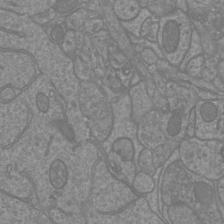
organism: Mouse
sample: Cortical neurons